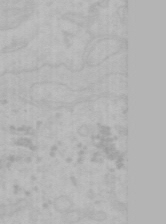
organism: Mouse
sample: Choroid plexus